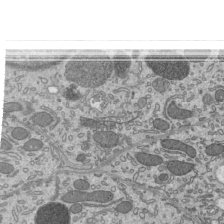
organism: Mouse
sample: Mouse epididymis efferent ductule cilia